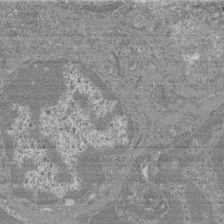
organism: Mouse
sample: Glomerulus